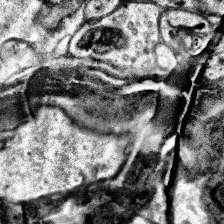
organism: Human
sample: Temporal Lobe